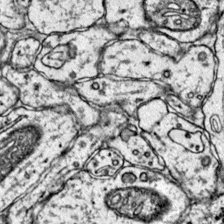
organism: Mouse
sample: Primary visual cortex